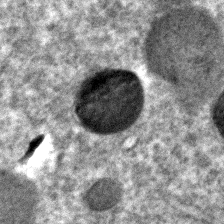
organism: C. elegans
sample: C. elegans embryo